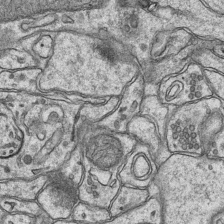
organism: Mouse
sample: CA1 Hippocampus